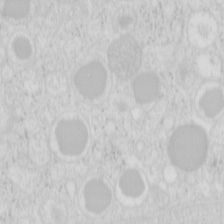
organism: Mouse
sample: Pancreas